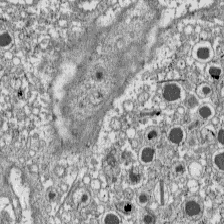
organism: C57BL Mouse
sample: Pancreatic islet